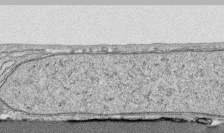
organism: Human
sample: CRL-1474